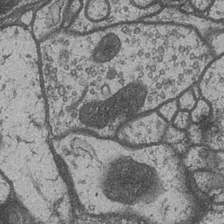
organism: Drosophila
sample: Optic medulla